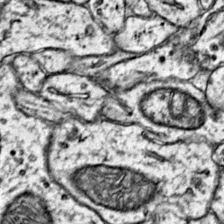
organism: Mouse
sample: Primary visual cortex